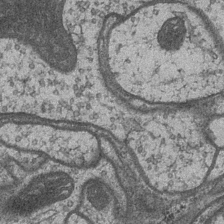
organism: Drosophila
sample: Optic medulla